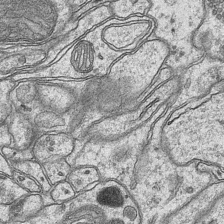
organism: Mouse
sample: CA1 Hippocampus